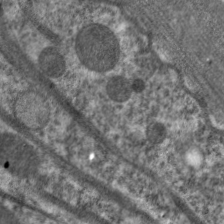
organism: C. elegans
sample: Pharynx